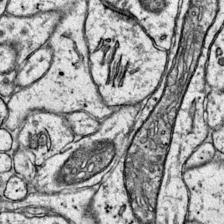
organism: Mouse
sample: Primary visual cortex